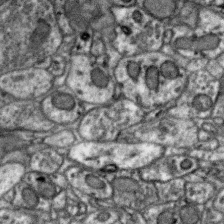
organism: Zebra finch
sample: Brain